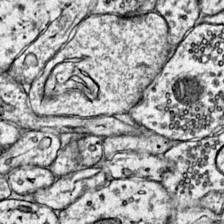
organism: Mouse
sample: Primary visual cortex